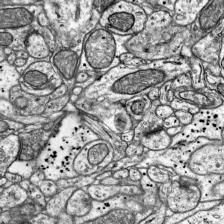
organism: Mouse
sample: Visual Cortex